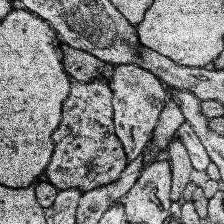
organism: Human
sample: Temporal Lobe